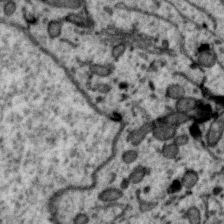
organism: Zebra finch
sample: Brain